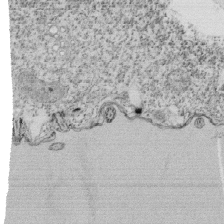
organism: Tetrahymena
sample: Cilia in tetrahymena